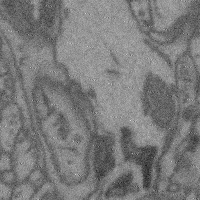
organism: Mouse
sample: Cerebral cortex